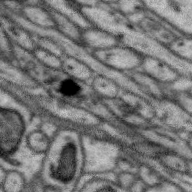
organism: Zebra finch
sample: Brain